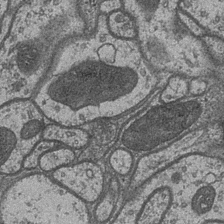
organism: Drosophila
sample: Optic medulla